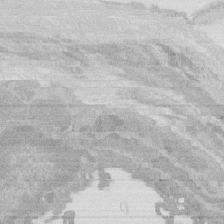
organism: Rat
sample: Salivary granule